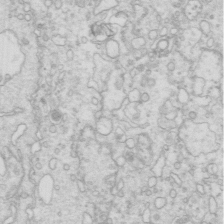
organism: Mouse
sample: Multiciliated cells